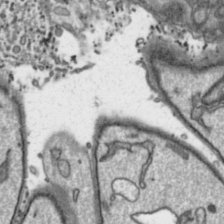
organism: Toxoplasma gondii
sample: Parasites in a vacuole inside a host cell